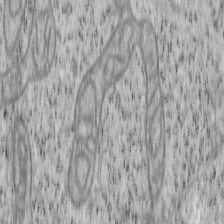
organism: Human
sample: HeLa cells